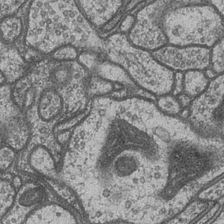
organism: Drosophila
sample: Optic medulla